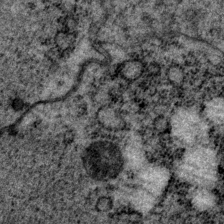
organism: P. pacificus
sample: Pharynx